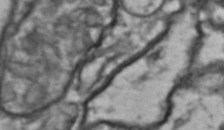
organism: Drosophila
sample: Brain